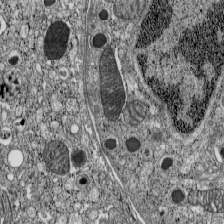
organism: C57BL Mouse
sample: Pancreatic islet